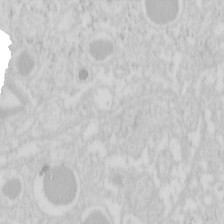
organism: Mouse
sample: Pancreas